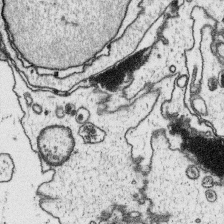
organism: Platynereis dumerilii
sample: Parapodia